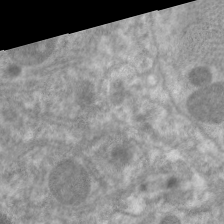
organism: C. elegans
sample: Pharynx